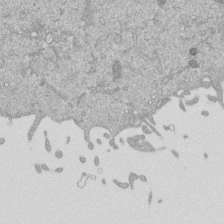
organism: Mouse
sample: ED-1 cell nuclei; centrioles